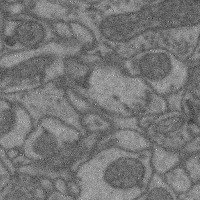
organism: Mouse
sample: Cerebral cortex